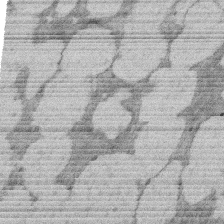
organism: Rat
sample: Salivary granule